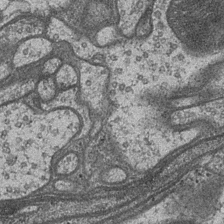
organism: Drosophila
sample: Optic medulla